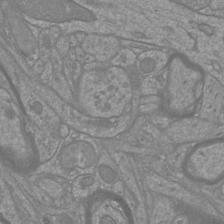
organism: Mouse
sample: Cortical neurons